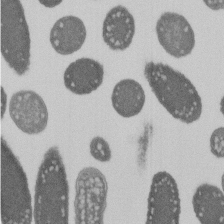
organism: E. coli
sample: Bacterial nucleoid